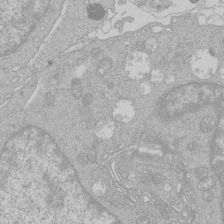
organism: Human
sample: Macrophage cells